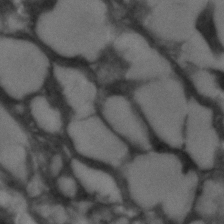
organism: C. elegans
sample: C. elegans embryo